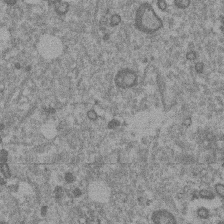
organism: Mouse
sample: Dividing mouse embryo 1 cell stage